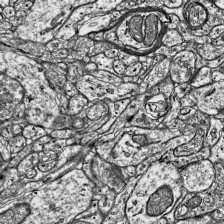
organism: Mouse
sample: Visual Cortex